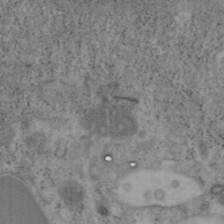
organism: Mouse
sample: OT-I killer T cells with ID8 ovarian cancer cells